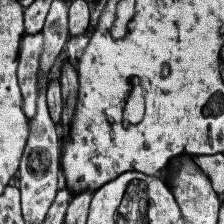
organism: Human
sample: Temporal Lobe